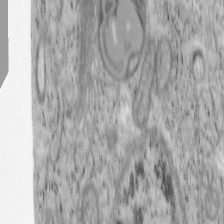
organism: Human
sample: HeLa cells